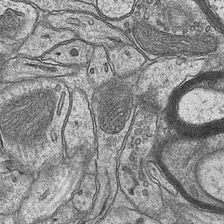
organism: Mouse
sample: CA1 Hippocampus